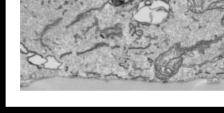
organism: Human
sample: Mitochondria in HCT116 cells